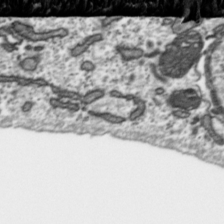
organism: Toxoplasma gondii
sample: Parasites in a vacuole inside a host cell